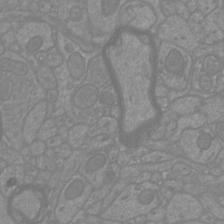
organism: Mouse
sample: Cortical neurons